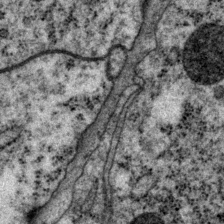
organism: P. pacificus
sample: Pharynx